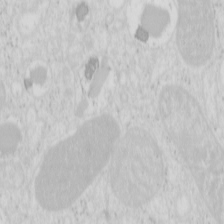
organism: Mouse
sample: Pancreas